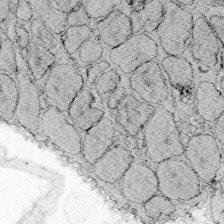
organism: Zebrafish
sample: Whole-Brain